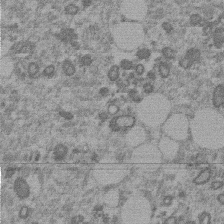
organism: Mouse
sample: Dividing mouse embryo 1 cell stage